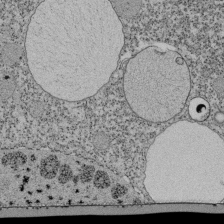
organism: Tetrahymena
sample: Cilia in tetrahymena